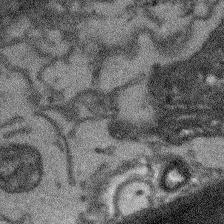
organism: Arabidopsis thaliana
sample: Root tip